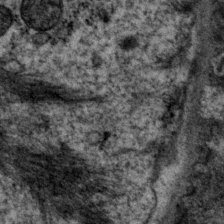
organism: P. pacificus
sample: Pharynx